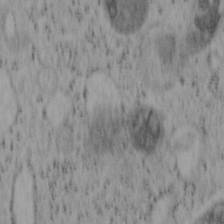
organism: Mouse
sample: OT-I killer T cells with ID8 ovarian cancer cells